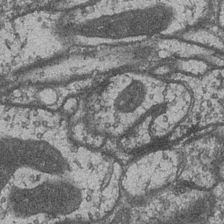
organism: Drosophila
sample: Optic medulla